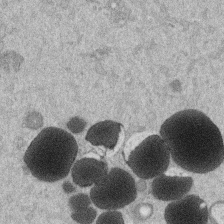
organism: Mouse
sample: Dividing mouse embryo 1 cell stage